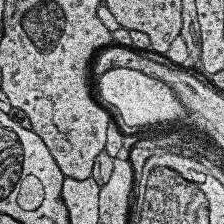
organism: Human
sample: Temporal Lobe